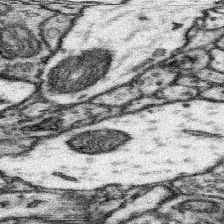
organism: Mouse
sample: Somatosensory cortex neuropil